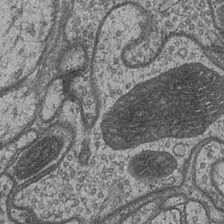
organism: Drosophila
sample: Optic medulla